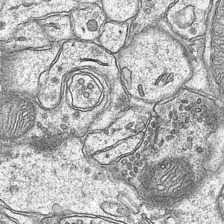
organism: Mouse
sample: CA1 Hippocampus